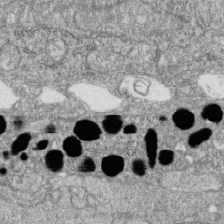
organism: Zebrafish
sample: Cilia; retinal pigment epithelium